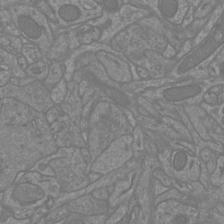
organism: Mouse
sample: Cortical neurons